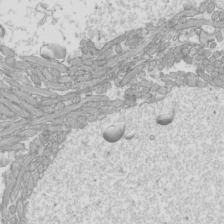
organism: Mouse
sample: Cilia; mouse epididymis